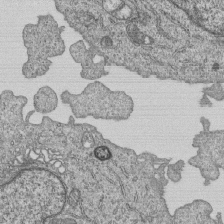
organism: Human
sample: MDA-MB-231 cells